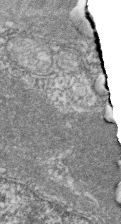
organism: Zebrafish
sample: Cilia; retinal pigment epithelium